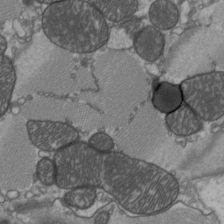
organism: C57BL Mouse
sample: Heart